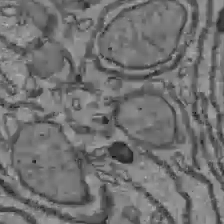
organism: C57BL Mouse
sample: Liver